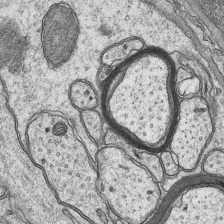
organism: Mouse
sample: CA1 Hippocampus